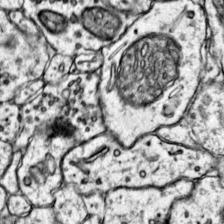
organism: Mouse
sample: Primary visual cortex